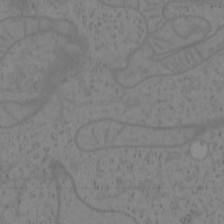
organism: Human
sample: HeLa cells